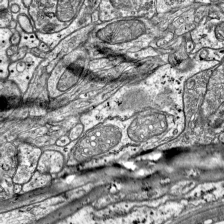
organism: Mouse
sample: Visual Cortex